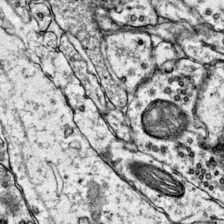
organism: Mouse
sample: Primary visual cortex